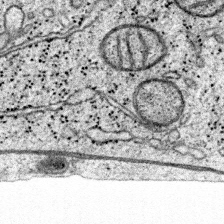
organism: Human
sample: HeLa cells